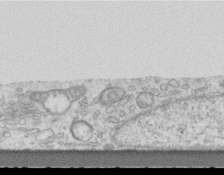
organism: Mouse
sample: Centriole in ependymal cells